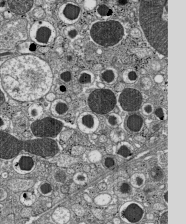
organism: C57BL Mouse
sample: Pancreatic islet